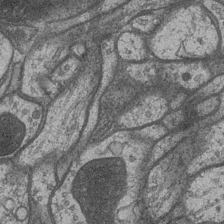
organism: Drosophila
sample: Optic medulla